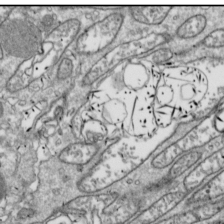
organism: Drosophila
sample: Cell division; meiosis; drosophila spermatocytes